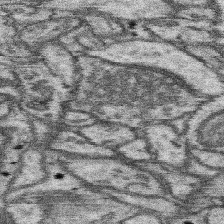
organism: Mouse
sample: Somatosensory cortex neuropil